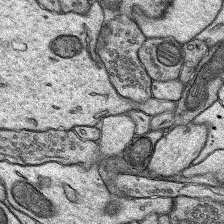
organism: Rat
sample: Hippocampus